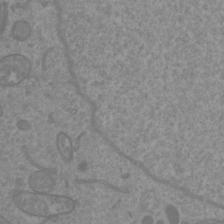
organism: Mouse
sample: Cortical neurons